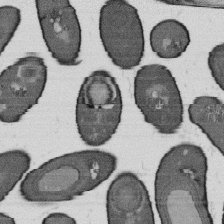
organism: B. subtilis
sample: Bacterial spore